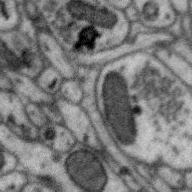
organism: Zebra finch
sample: Brain